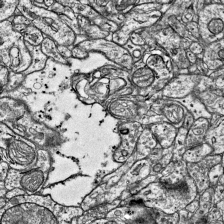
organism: Mouse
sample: Visual Cortex